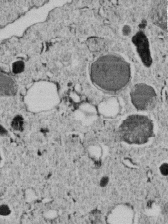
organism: C. elegans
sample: C. elegans embryo early stage